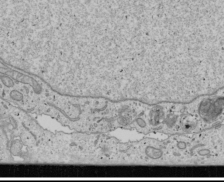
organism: Human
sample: Mitochondria in U2OS cells